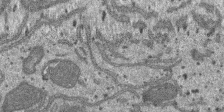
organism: Human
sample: Lung epithelial cells infected with SARS-CoV-2